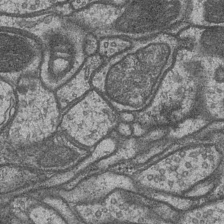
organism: Drosophila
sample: Optic medulla